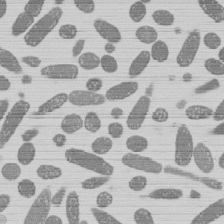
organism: E. coli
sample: Bacterial nucleoid